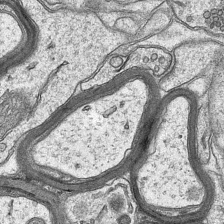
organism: Mouse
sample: CA1 Hippocampus